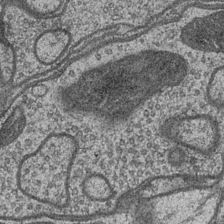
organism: Drosophila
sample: Optic medulla